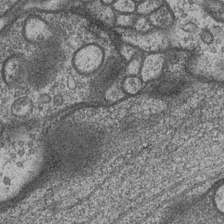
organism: Drosophila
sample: Optic medulla